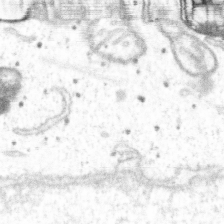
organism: Human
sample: HeLa cells